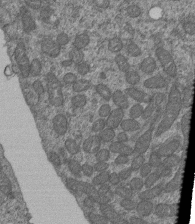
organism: Human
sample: Retinal organoid Rod and Cone cells